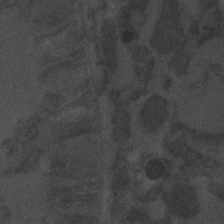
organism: C. elegans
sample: C. elegans embryo